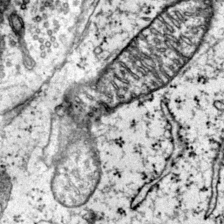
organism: Mouse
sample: Primary visual cortex